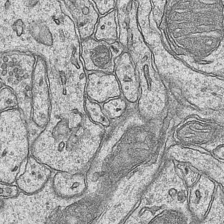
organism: Mouse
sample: CA1 Hippocampus